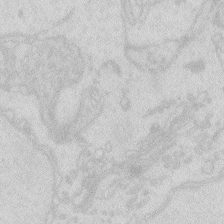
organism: Zebrafish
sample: Macrophage